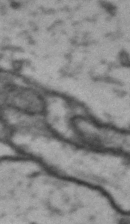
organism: Drosophila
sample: Brain